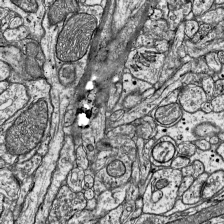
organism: Mouse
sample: Visual Cortex